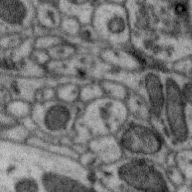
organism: Zebra finch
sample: Brain